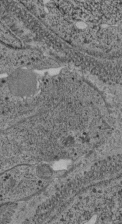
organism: C. elegans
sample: C. elegans pharynx